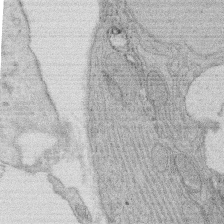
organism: Rat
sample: Salivary granule